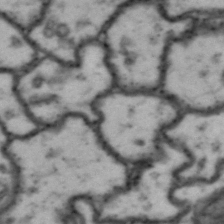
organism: Drosophila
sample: Brain